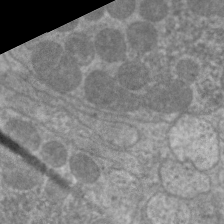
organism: C. elegans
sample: Pharynx